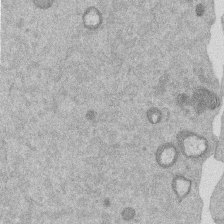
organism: Mouse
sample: Dividing mouse embryo 1 cell stage